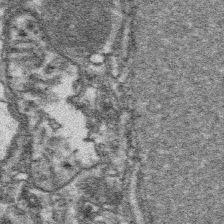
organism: Platynereis dumerilii